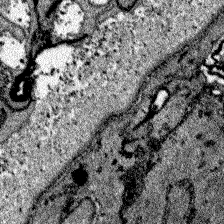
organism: Zebrafish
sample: Larval olfactory bulb